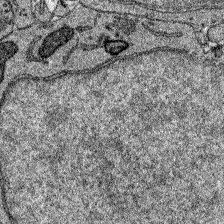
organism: Zebrafish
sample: Larval olfactory bulb